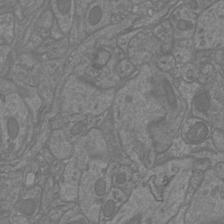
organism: Mouse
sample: Cortical neurons